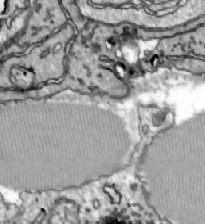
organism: Zebrafish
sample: Actinotrichia fibers